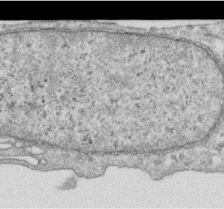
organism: Human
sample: Centriole in RPE cells